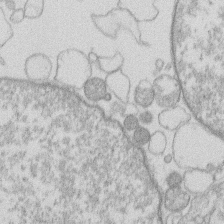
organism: Human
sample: Macrophage cells